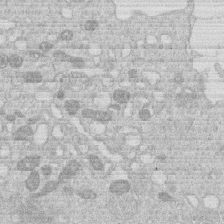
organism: Human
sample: Macrophage cells